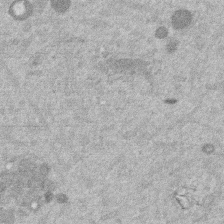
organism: Mouse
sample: Dividing mouse embryo 1 cell stage